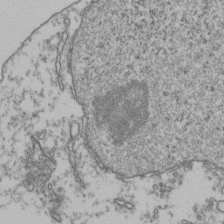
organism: Human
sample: Activated Jurkat CD4+ T cells